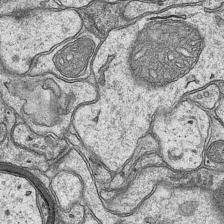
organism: Mouse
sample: CA1 Hippocampus